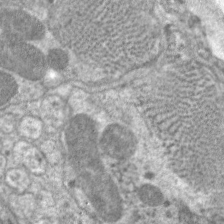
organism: C. elegans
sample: Pharynx